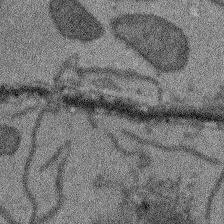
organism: Arabidopsis thaliana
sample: Root tip